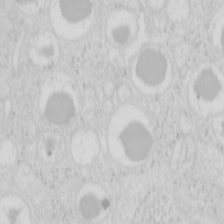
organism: Mouse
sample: Pancreas